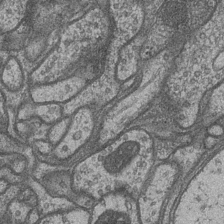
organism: Drosophila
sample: Optic medulla